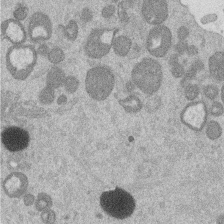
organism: Mouse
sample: Dividing mouse embryo 1 cell stage